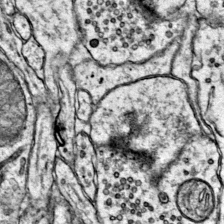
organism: Mouse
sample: Primary visual cortex